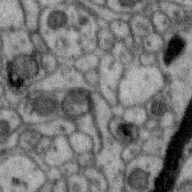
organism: Zebra finch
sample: Brain